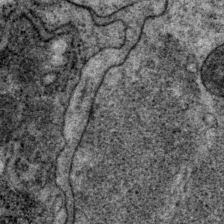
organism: P. pacificus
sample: Pharynx